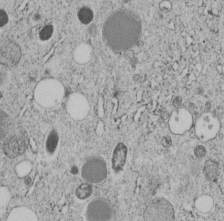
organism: C. elegans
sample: C. elegans embryo early stage